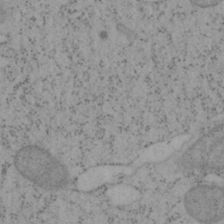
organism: Mouse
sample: OT-I killer T cells with ID8 ovarian cancer cells